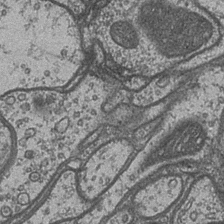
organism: Drosophila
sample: Optic medulla